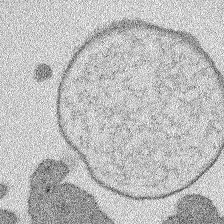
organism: Human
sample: HeLa cells